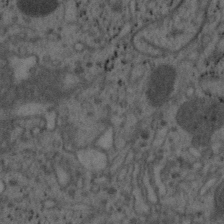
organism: Human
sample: HeLa cells